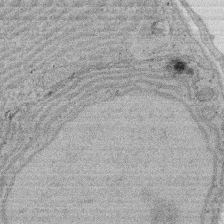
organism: Rat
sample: Salivary granule